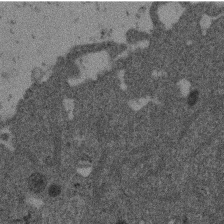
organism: Mouse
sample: Dividing mouse embryo 1 cell stage